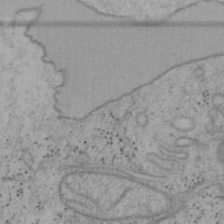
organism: Human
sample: HeLa cells